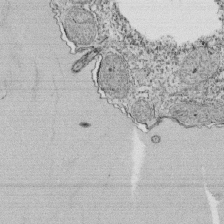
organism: Tetrahymena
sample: Cilia in tetrahymena